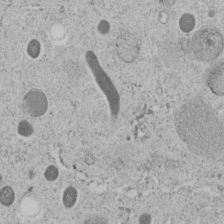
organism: C. elegans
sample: C. elegans embryo early stage